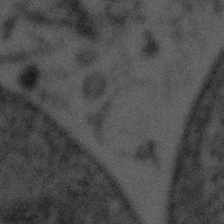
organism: Tuwongella immobilis